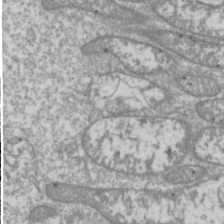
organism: Drosophila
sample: Cell division; meiosis; drosophila spermatocytes